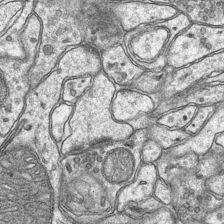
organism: Mouse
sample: CA1 Hippocampus